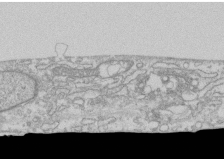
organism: Human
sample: CRL-1474